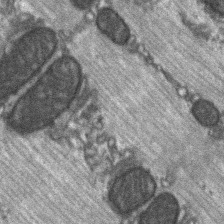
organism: C57BL Mouse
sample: Soleus